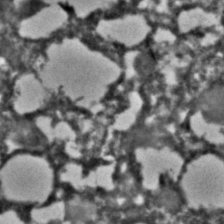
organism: C. elegans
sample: C. elegans embryo